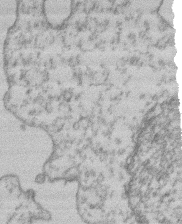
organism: Mouse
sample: T cell stromal cell synapse